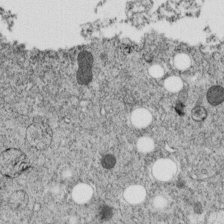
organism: C. elegans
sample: C. elegans embryo early stage